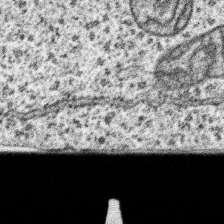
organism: Human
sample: HeLa cells